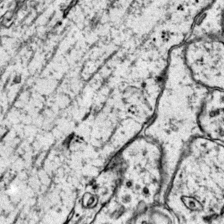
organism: Mouse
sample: Primary visual cortex